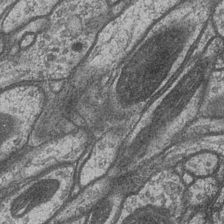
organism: Drosophila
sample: Optic medulla